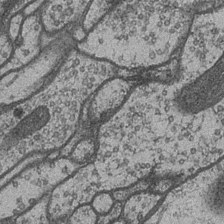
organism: Drosophila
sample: Optic medulla